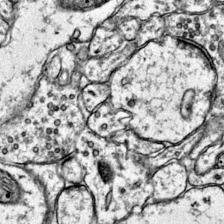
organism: Mouse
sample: Primary visual cortex